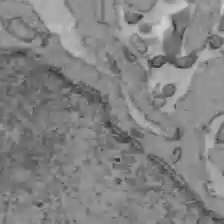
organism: C57BL Mouse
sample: Liver